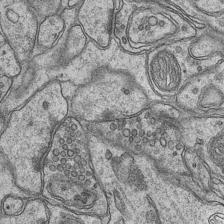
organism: Mouse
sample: CA1 Hippocampus